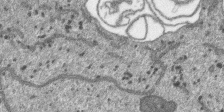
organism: Human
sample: Lung epithelial cells infected with SARS-CoV-2